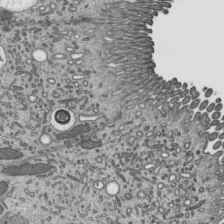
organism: Mouse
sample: Mouse epididymis efferent ductule cilia